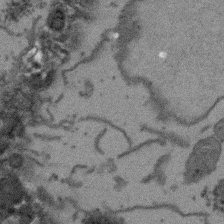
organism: Arabidopsis thaliana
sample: Root tip